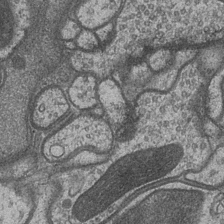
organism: Drosophila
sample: Optic medulla